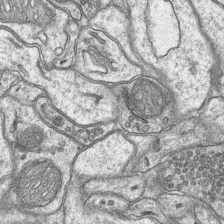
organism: Mouse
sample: CA1 Hippocampus